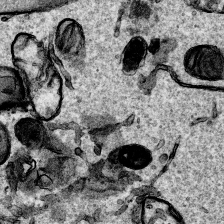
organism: Human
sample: Mitochondria in HCT116 cells